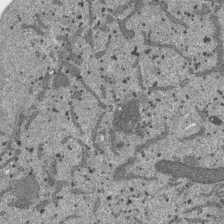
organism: Human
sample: Lung epithelial cells infected with SARS-CoV-2